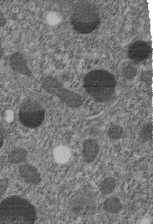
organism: C. elegans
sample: C. elegans embryo early stage